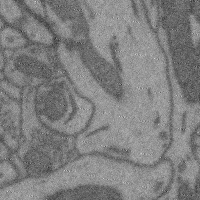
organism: Mouse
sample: Cerebral cortex